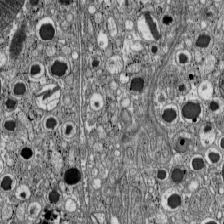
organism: C57BL Mouse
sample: Pancreatic islet